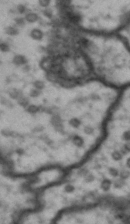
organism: Drosophila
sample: Brain